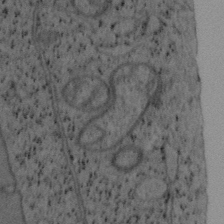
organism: Human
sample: HeLa cells